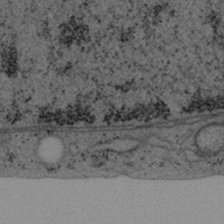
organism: Human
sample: HeLa cells